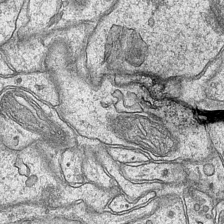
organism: Mouse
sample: CA1 Hippocampus